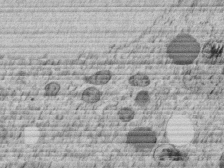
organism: C. elegans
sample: C. elegans embryo early stage